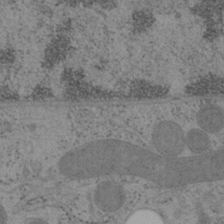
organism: Mouse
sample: OT-I killer T cells with ID8 ovarian cancer cells